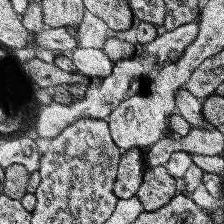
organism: Human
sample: Temporal Lobe